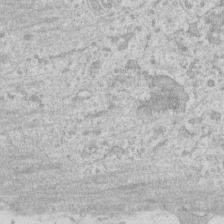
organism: Human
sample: Fibroblast cells